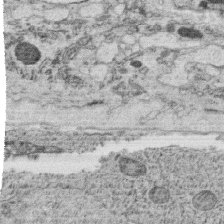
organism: C. elegans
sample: C. elegans oocyte; sperm cells